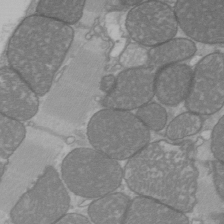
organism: C57BL Mouse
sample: Heart